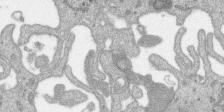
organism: Human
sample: Lung epithelial cells infected with SARS-CoV-2